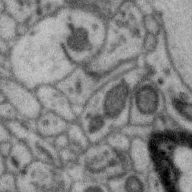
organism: Zebra finch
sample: Brain